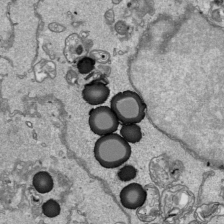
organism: Human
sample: Mitochondria in HCT116 cells